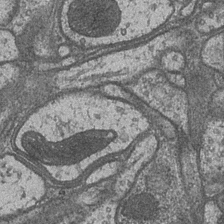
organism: Drosophila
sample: Optic medulla